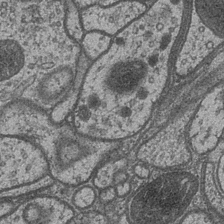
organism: Drosophila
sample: Optic medulla